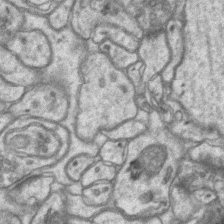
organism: Mouse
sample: CA1 Hippocampus